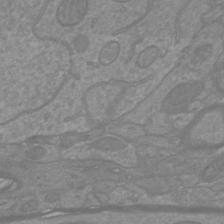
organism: Mouse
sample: Cortical neurons